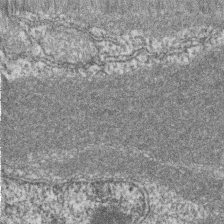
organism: Zebrafish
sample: Cilia; retinal pigment epithelium